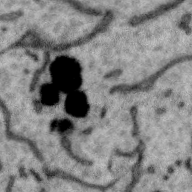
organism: Zebra finch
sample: Brain